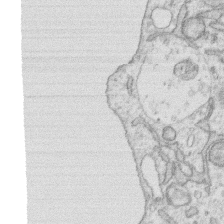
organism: Human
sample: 1205lu cells